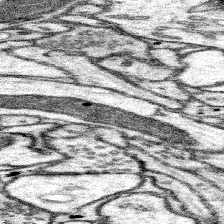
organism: Mouse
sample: Somatosensory cortex neuropil